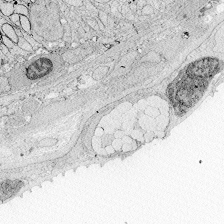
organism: Zebrafish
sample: Whole-Brain